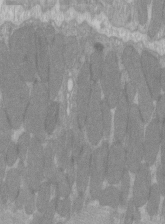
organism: C57BL Mouse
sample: Tibialis anterior muscle cell